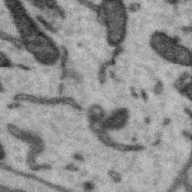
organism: Zebra finch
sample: Brain